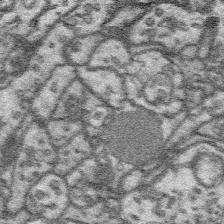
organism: Platynereis dumerilii